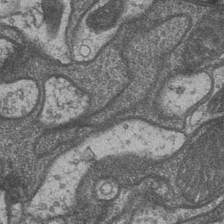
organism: Drosophila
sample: Optic medulla